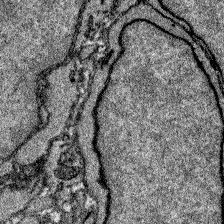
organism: Zebrafish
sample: Larval olfactory bulb